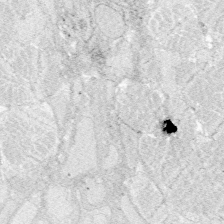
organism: Zebrafish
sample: Whole-Brain